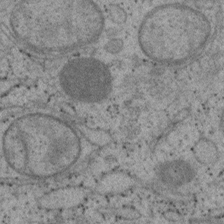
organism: Human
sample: HeLa cells